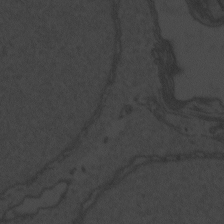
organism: Zebrafish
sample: Macrophage infected with Toxoplasma gondii